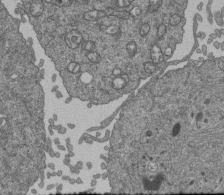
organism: Human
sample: Retinal organoid Rod and Cone cells